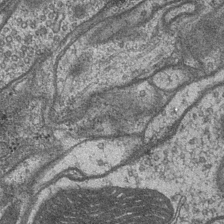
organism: Drosophila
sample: Optic medulla